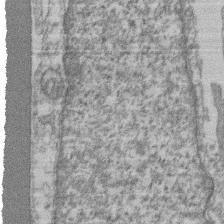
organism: Mouse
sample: T cell stromal cell synapse